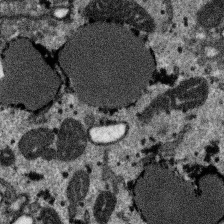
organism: Human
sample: Lung epithelial cells infected with SARS-CoV-2